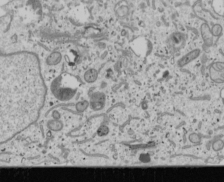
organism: Human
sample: Mitochondria in U2OS cells